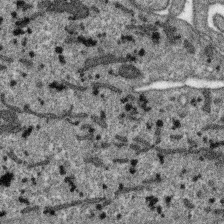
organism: Human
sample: Lung epithelial cells infected with SARS-CoV-2